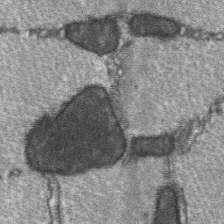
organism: C57BL Mouse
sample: Soleus